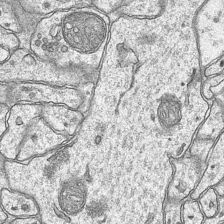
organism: Mouse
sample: CA1 Hippocampus